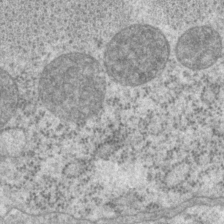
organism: P. pacificus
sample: Pharynx